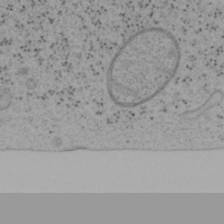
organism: Human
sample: HeLa cells